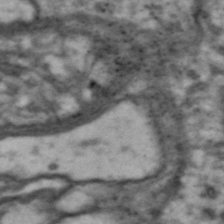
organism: Drosophila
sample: Brain